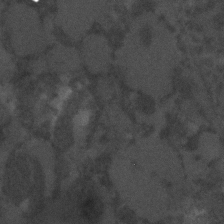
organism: C. elegans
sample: C. elegans embryo